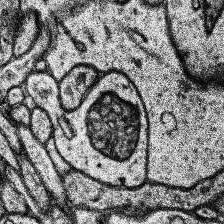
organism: Human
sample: Temporal Lobe